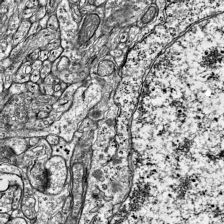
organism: Mouse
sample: Visual Cortex